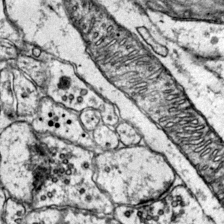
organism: Mouse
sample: Primary visual cortex